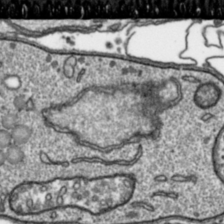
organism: Toxoplasma gondii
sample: Parasites in a vacuole inside a host cell